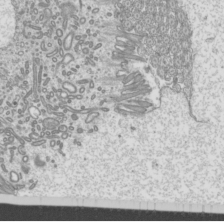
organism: Mouse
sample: Cilia; mouse epididymis